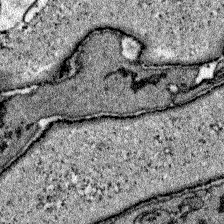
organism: Zebrafish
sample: Larval olfactory bulb